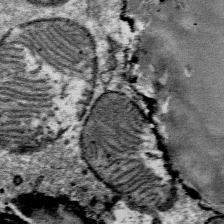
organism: Mouse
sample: Mouse Salivary gland